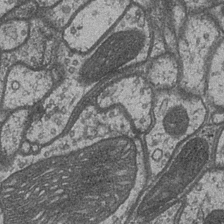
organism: Drosophila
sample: Optic medulla